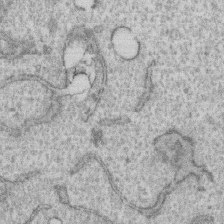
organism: Human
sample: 1205lu cells